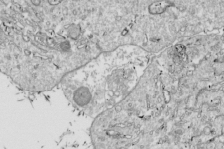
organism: Drosophila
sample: Cell division; meiosis; drosophila spermatocytes